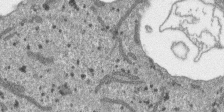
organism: Human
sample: Lung epithelial cells infected with SARS-CoV-2